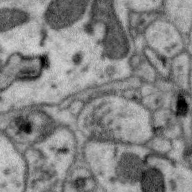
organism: Zebra finch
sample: Brain